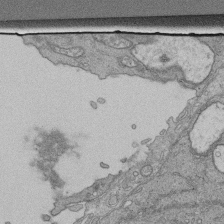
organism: Human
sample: Retinal organoid Rod and Cone cells